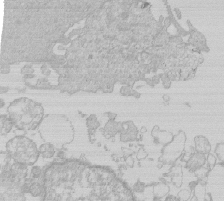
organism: Human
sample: Macrophage cells